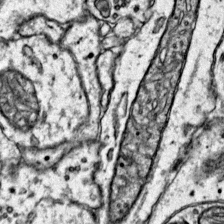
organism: Mouse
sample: Primary visual cortex